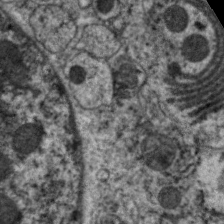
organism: C. elegans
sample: Pharynx